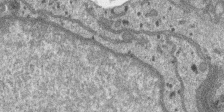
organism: Human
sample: Lung epithelial cells infected with SARS-CoV-2